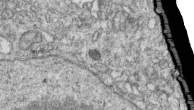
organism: Human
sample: HeLa cell HIV synapse